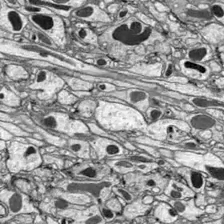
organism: Drosophila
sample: Optic lobe